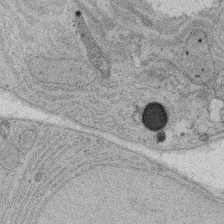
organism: Rat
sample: Salivary granule